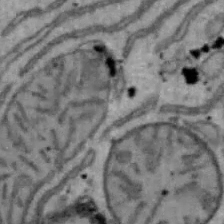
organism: Mouse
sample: Liver